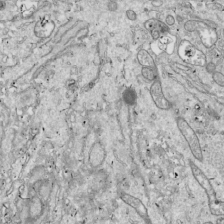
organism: Drosophila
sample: Cell division; meiosis; drosophila spermatocytes